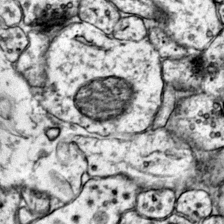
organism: Mouse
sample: Primary visual cortex